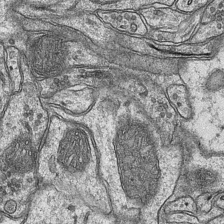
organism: Mouse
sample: CA1 Hippocampus